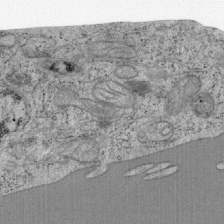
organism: Human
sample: HeLa cells